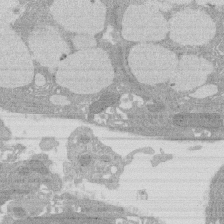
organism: Rat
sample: Salivary granule